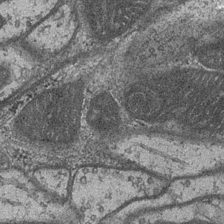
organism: Drosophila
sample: Optic medulla